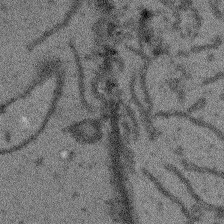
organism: Arabidopsis thaliana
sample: Root tip